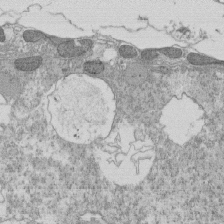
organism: Tetrahymena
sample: Cilia in tetrahymena